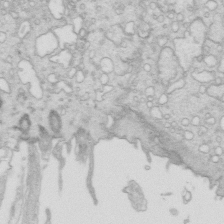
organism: Mouse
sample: Multiciliated cells